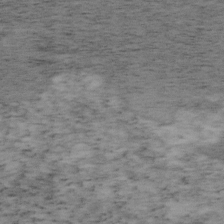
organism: Mouse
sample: OT-I killer T cells with ID8 ovarian cancer cells